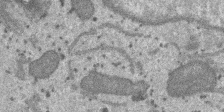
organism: Human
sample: Lung epithelial cells infected with SARS-CoV-2